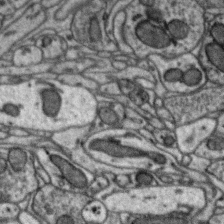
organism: Zebra finch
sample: Brain